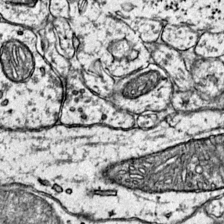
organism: Mouse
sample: Primary visual cortex